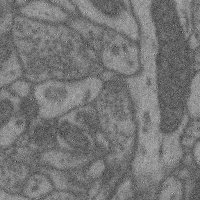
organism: Mouse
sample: Cerebral cortex